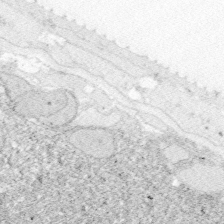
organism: Zebrafish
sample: Whole-Brain